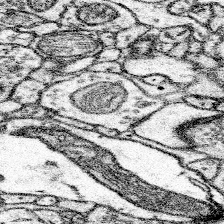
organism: Mouse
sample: Somatosensory cortex neuropil